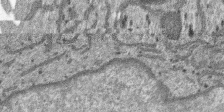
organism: Human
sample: Lung epithelial cells infected with SARS-CoV-2